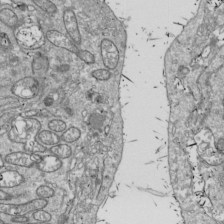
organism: Drosophila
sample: Cell division; meiosis; drosophila spermatocytes